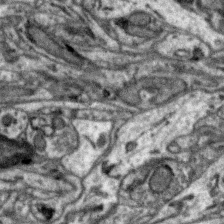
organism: Zebra finch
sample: Brain